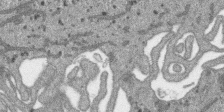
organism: Human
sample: Lung epithelial cells infected with SARS-CoV-2